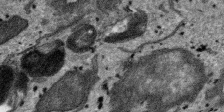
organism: Human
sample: Lung epithelial cells, uninfected (mock) control